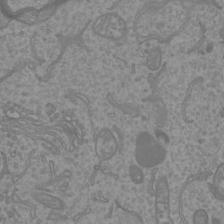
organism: Mouse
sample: Cortical neurons